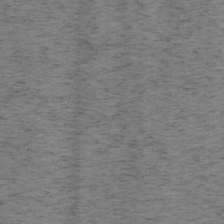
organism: Mouse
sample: OT-I killer T cells with ID8 ovarian cancer cells